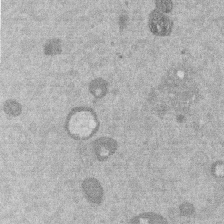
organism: Mouse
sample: Dividing mouse embryo 1 cell stage